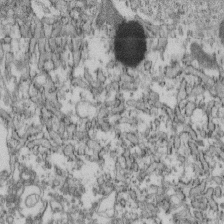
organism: Mouse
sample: Cilia; retinal pigment epithelium